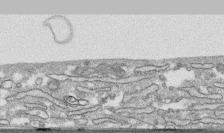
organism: Human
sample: CRL-1474